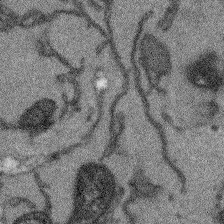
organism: Arabidopsis thaliana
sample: Root tip